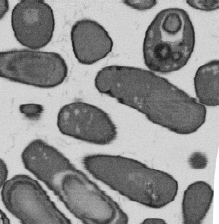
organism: B. subtilis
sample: Bacterial spore